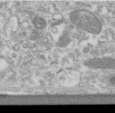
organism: Human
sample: Centriole in RPE cells